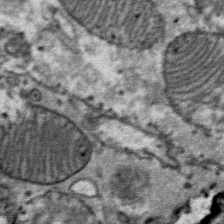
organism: Mouse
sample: Mouse Salivary gland